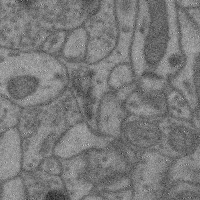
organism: Mouse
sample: Cerebral cortex